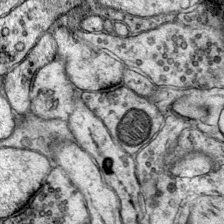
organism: Mouse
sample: Primary visual cortex